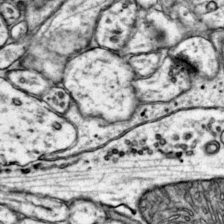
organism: Mouse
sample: Primary visual cortex